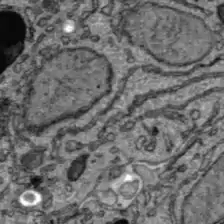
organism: C57BL Mouse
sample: Liver